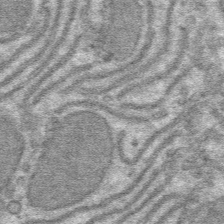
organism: Mouse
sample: Mouse hepatocytes